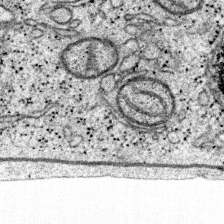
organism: Human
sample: HeLa cells